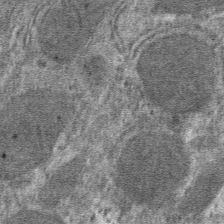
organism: Mouse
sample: Mouse hepatocytes